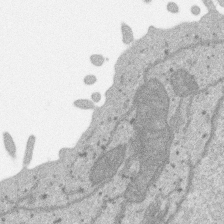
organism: Human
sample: Lung epithelial cells infected with SARS-CoV-2